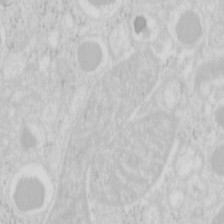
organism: Mouse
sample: Pancreas